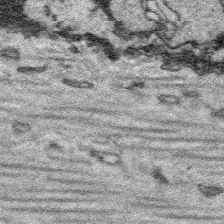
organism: Platynereis dumerilii